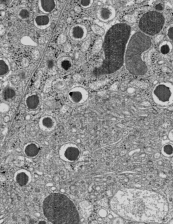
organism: C57BL Mouse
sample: Pancreatic islet